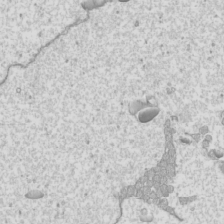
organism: Mouse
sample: Cilia; mouse epididymis